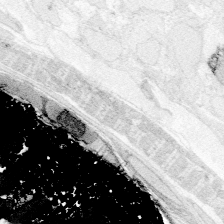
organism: Zebrafish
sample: Whole-Brain